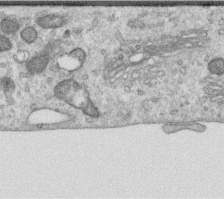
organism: Human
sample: Centriole in RPE cells